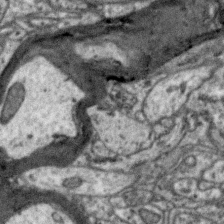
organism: Zebra finch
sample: Brain